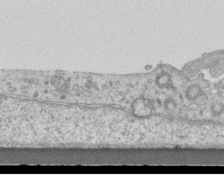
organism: Mouse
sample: Centriole in ependymal cells